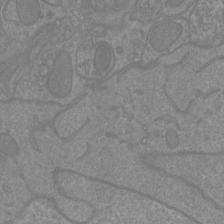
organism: Mouse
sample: Cortical neurons